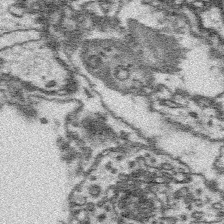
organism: Platynereis dumerilii